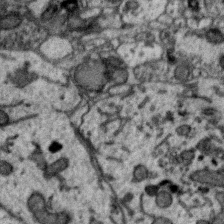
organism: Zebra finch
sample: Brain